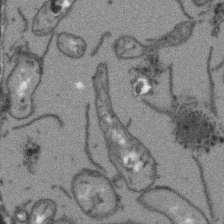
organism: Arabidopsis thaliana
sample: Root tip